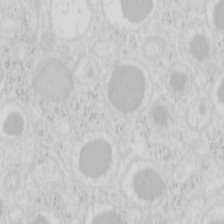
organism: Mouse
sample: Pancreas